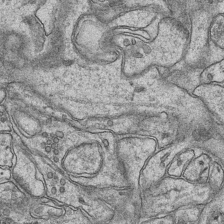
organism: Mouse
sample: CA1 Hippocampus